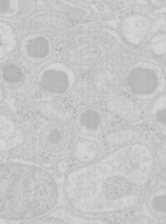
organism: Mouse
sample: Pancreas